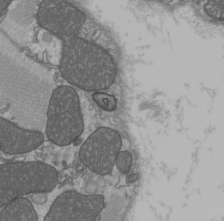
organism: C57BL Mouse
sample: Heart